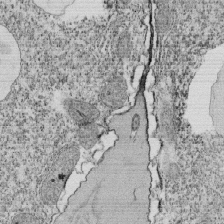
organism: Tetrahymena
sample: Cilia in tetrahymena